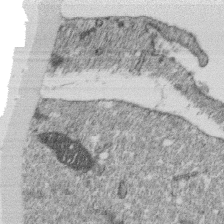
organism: African green monkey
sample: Vero E6 cells infected with SARS-CoV-2